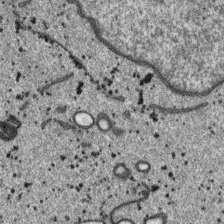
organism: Human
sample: Lung epithelial cells infected with SARS-CoV-2